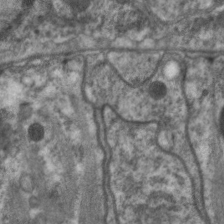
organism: C. elegans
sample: Pharynx